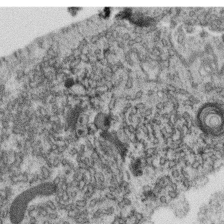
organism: C. elegans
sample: C. elegans oocyte; sperm cells